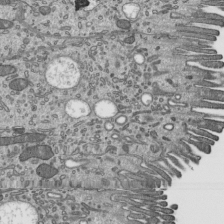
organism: Mouse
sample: Mouse epididymis efferent ductule cilia